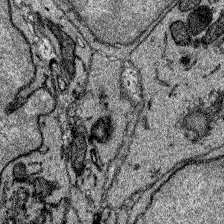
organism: Zebrafish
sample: Larval olfactory bulb